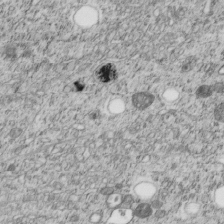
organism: C. elegans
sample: C. elegans embryo early stage